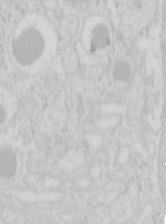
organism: Mouse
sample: Pancreas